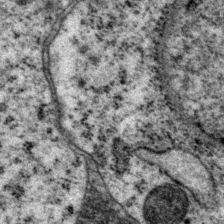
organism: P. pacificus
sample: Pharynx